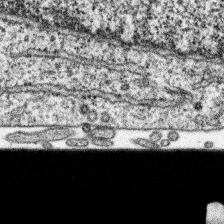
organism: Human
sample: HeLa cells